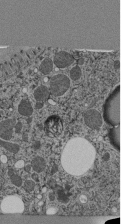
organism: C. elegans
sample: C. elegans pharynx